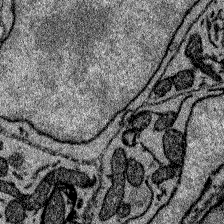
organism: Zebrafish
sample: Larval olfactory bulb